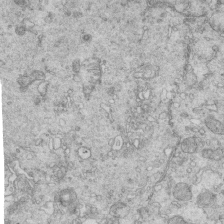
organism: Mouse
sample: Multiciliated cells